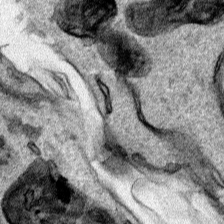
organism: Human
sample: Mitochondria in HCT116 cells